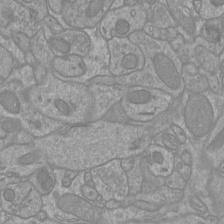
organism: Mouse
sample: Cortical neurons